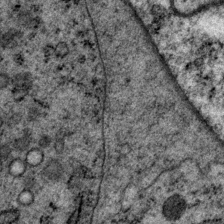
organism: P. pacificus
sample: Pharynx